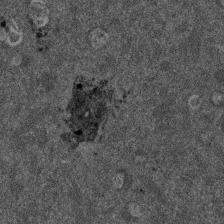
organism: Mouse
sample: Dividing mouse embryo 1 cell stage